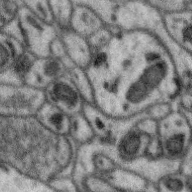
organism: Zebra finch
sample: Brain